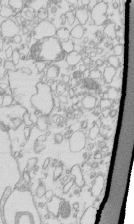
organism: Mouse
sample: Macrophages